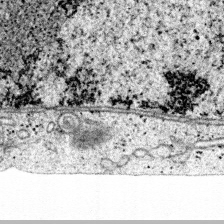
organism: Human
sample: HeLa cells